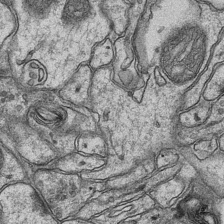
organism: Mouse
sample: CA1 Hippocampus